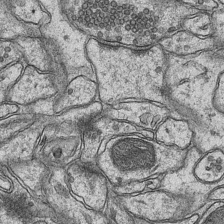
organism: Mouse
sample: CA1 Hippocampus